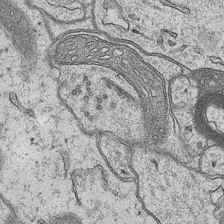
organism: Mouse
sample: CA1 Hippocampus